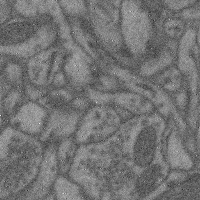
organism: Mouse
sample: Cerebral cortex